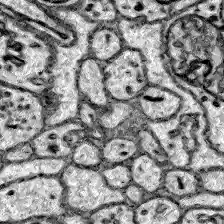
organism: Zebrafish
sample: Brain